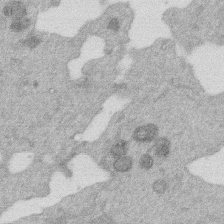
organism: Mouse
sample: Dividing mouse embryo 1 cell stage